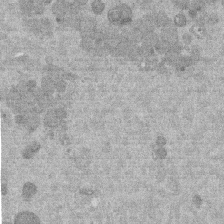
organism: Mouse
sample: Dividing mouse embryo 1 cell stage